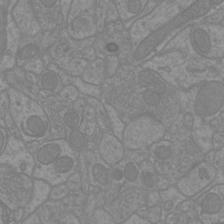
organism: Mouse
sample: Cortical neurons